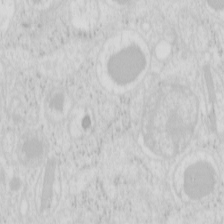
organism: Mouse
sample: Pancreas